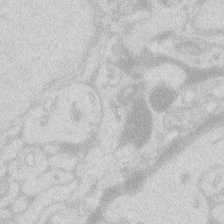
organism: Zebrafish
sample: Macrophage